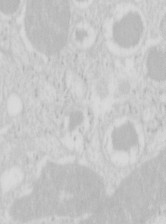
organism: Mouse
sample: Pancreas